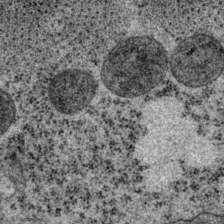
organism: P. pacificus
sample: Pharynx